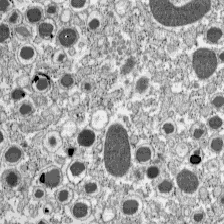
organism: C57BL Mouse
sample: Pancreatic islet